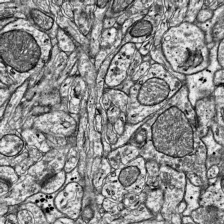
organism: Mouse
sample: Visual Cortex